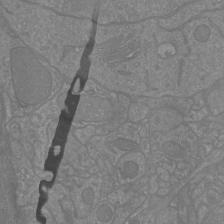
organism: Mouse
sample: Cortical neurons